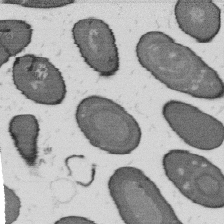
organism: B. subtilis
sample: Bacterial spore